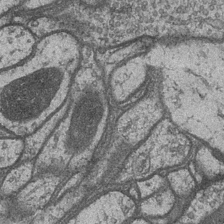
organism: Drosophila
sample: Optic medulla